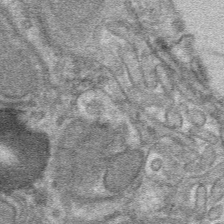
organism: Mouse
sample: Mouse hepatocytes